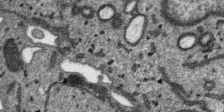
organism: Human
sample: Lung epithelial cells infected with SARS-CoV-2